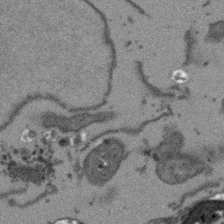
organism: Arabidopsis thaliana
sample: Root tip